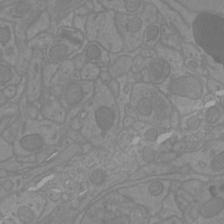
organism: Mouse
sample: Cortical neurons